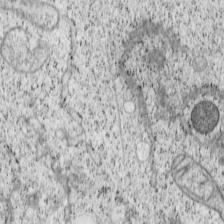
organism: African green monkey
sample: COS-7 cells